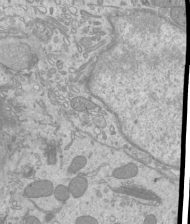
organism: Mouse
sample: Cilia; mouse epididymis